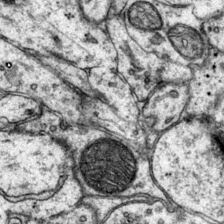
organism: Mouse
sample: Primary visual cortex